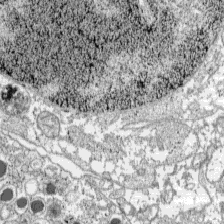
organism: C57BL Mouse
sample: Pancreatic islet